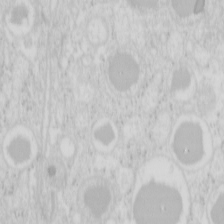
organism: Mouse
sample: Pancreas